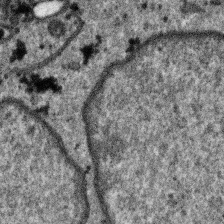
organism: Human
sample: Lung epithelial cells infected with SARS-CoV-2